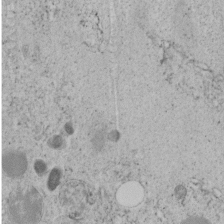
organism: C. elegans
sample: C. elegans embryo early stage